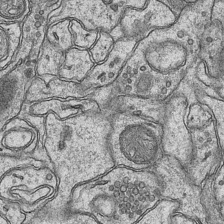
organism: Mouse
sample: CA1 Hippocampus